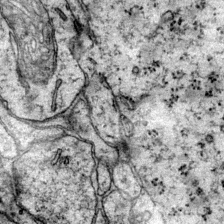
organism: Mouse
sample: Primary visual cortex